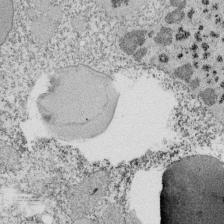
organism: Tetrahymena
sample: Cilia in tetrahymena